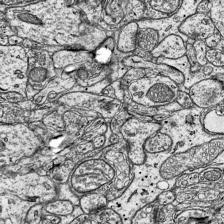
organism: Mouse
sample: Visual Cortex